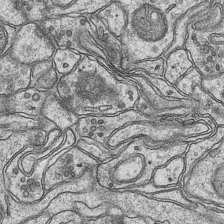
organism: Mouse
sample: CA1 Hippocampus